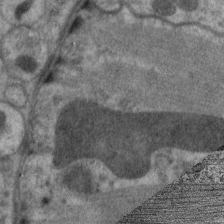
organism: C. elegans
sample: Pharynx